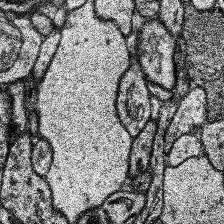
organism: Human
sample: Temporal Lobe